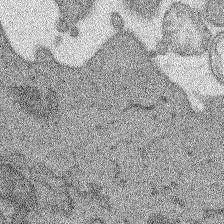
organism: Human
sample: HeLa cells